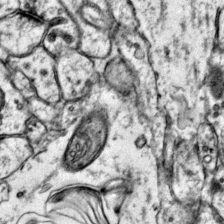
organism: Mouse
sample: Primary visual cortex